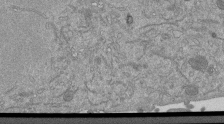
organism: Mouse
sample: ED-1 cell nuclei; centrioles